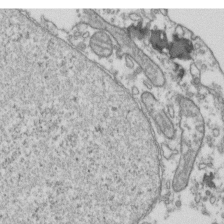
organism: Human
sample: Activated Jurkat CD4+ T cells